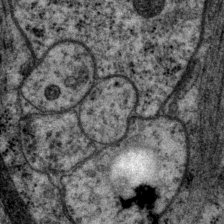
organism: P. pacificus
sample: Pharynx